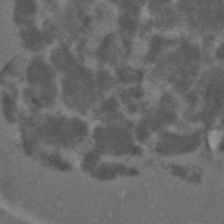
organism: C. elegans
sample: C. elegans embryo